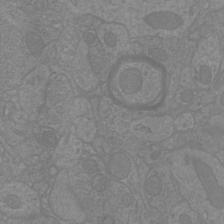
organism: Mouse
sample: Cortical neurons